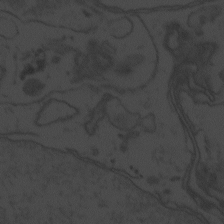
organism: Zebrafish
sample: Macrophage infected with Toxoplasma gondii